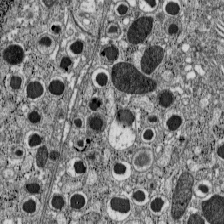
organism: C57BL Mouse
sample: Pancreatic islet